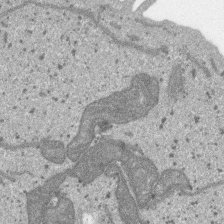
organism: Human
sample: Lung epithelial cells infected with SARS-CoV-2